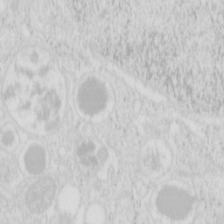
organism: Mouse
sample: Pancreas